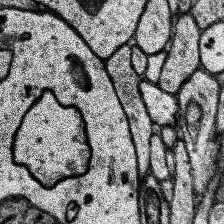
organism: Human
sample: Temporal Lobe